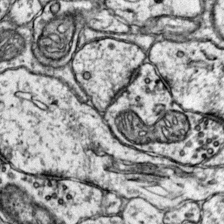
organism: Mouse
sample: Primary visual cortex